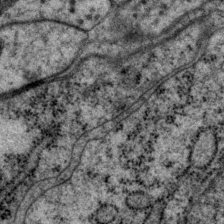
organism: P. pacificus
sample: Pharynx